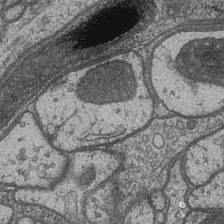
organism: Drosophila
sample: Optic medulla